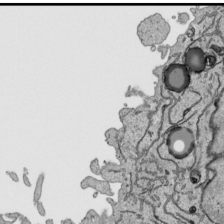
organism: Human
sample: Mitochondria in HCT116 cells